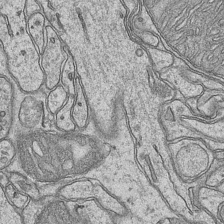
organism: Mouse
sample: CA1 Hippocampus